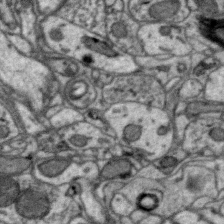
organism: Zebra finch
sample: Brain